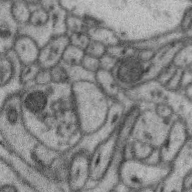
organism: Zebra finch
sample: Brain